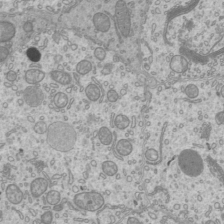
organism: Mouse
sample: Cilia; mouse epididymis